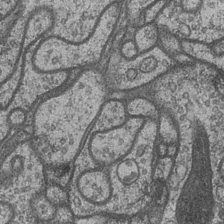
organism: Drosophila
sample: Optic medulla